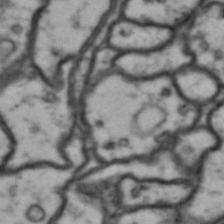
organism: Drosophila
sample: Brain